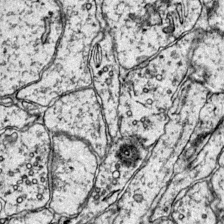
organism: Mouse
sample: Primary visual cortex